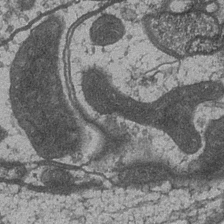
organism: Drosophila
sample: Optic medulla